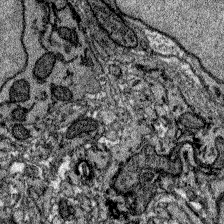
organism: Zebrafish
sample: Larval olfactory bulb